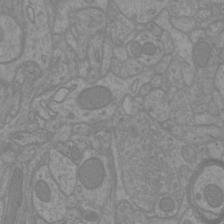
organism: Mouse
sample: Cortical neurons